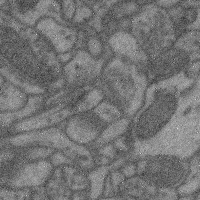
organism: Mouse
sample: Cerebral cortex